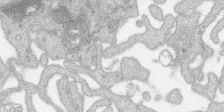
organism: Human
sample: Lung epithelial cells infected with SARS-CoV-2